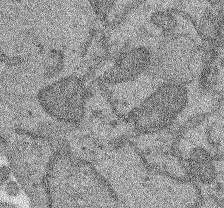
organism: Human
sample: HeLa cells